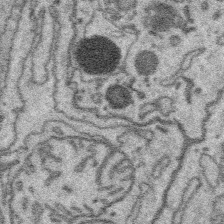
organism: Platynereis dumerilii